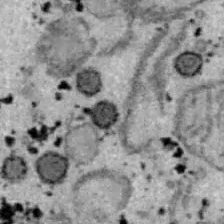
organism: Mouse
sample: Liver from an obese (ob/ob) mouse